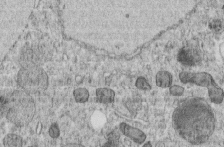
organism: C. elegans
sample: C. elegans embryo early stage